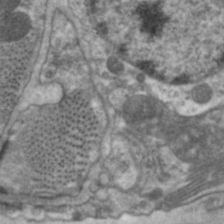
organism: C. elegans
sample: Pharynx